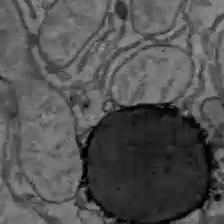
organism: C57BL Mouse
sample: Liver